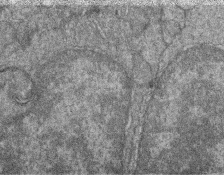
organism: Zebrafish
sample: Cilia; retinal pigment epithelium